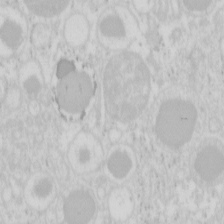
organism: Mouse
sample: Pancreas